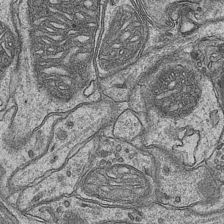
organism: Mouse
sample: CA1 Hippocampus